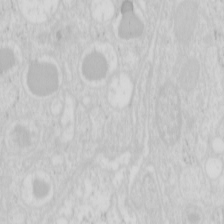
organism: Mouse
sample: Pancreas